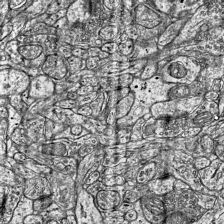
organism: Mouse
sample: Visual Cortex